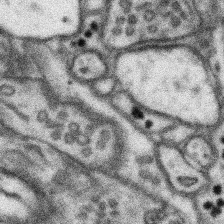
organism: Mouse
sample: Somatosensory cortex neuropil